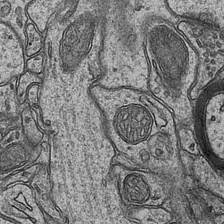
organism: Mouse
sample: CA1 Hippocampus